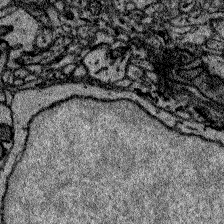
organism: Zebrafish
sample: Larval olfactory bulb